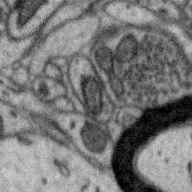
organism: Zebra finch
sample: Brain